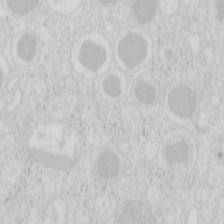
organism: Mouse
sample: Pancreas